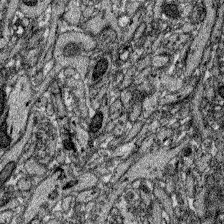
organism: Zebrafish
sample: Larval olfactory bulb